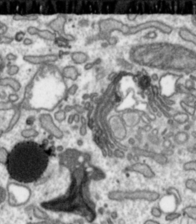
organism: Toxoplasma gondii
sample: Parasites in a vacuole inside a host cell